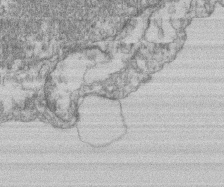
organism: Mouse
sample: T cell stromal cell synapse